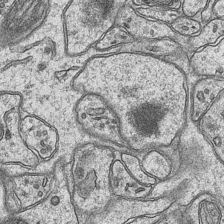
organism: Mouse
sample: CA1 Hippocampus